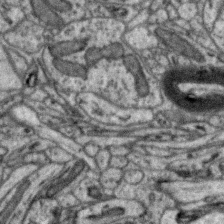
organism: Zebra finch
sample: Brain